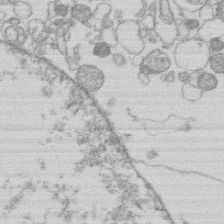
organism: Human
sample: Macrophage cells